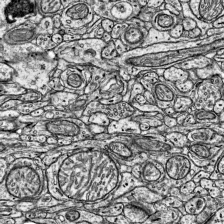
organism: Mouse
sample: Visual Cortex